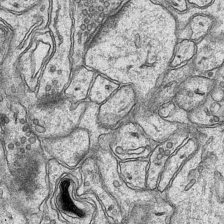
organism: Mouse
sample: CA1 Hippocampus